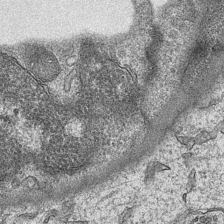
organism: Mouse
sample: CA1 Hippocampus